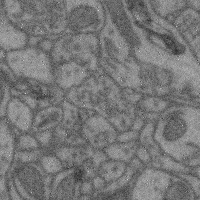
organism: Mouse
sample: Cerebral cortex